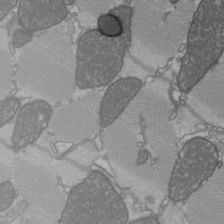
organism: C57BL Mouse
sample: Heart